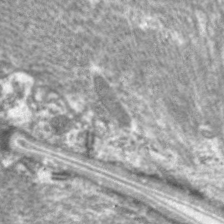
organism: C. elegans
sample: Pharynx